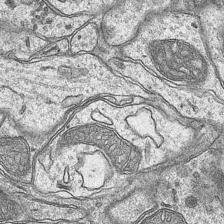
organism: Mouse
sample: CA1 Hippocampus